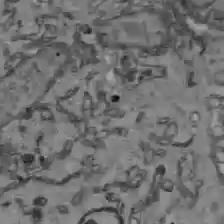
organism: C57BL Mouse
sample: Liver